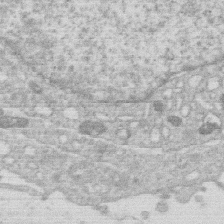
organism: Human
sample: Macrophage cells